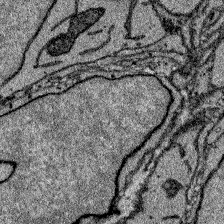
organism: Zebrafish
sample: Larval olfactory bulb